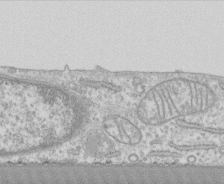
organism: Human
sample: CRL-1474